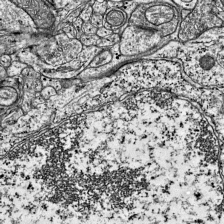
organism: Mouse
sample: Visual Cortex